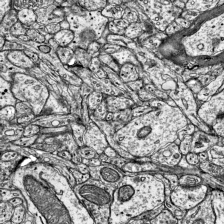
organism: Mouse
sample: Visual Cortex